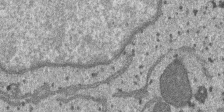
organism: Human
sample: Lung epithelial cells infected with SARS-CoV-2